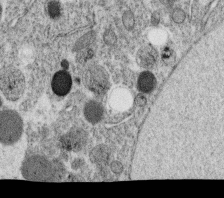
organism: C. elegans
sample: C. elegans oocyte; sperm cells